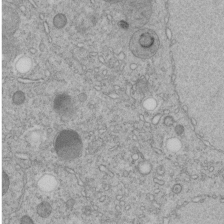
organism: C. elegans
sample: C. elegans embryo early stage